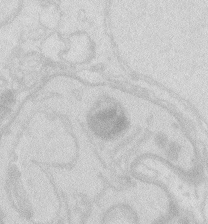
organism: Zebrafish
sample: Macrophage